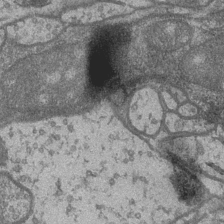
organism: Drosophila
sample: Optic medulla